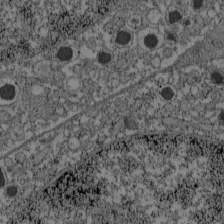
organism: C57BL Mouse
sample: Pancreatic islet